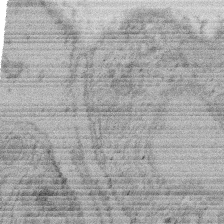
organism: Rat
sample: Salivary granule